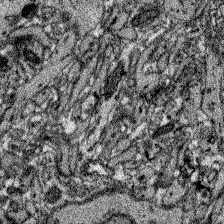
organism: Zebrafish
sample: Larval olfactory bulb